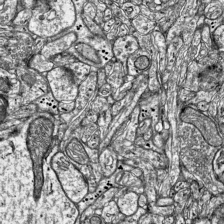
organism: Mouse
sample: Visual Cortex